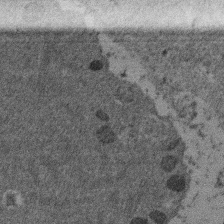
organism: Mouse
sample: Dividing mouse embryo 1 cell stage